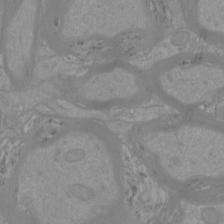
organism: Mouse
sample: Cortical neurons